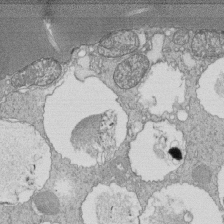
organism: Tetrahymena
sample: Cilia in tetrahymena